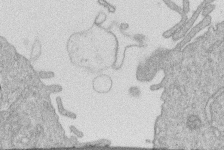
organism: Human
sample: Macrophage cells